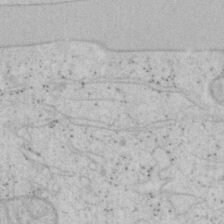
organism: Human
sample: HeLa cells